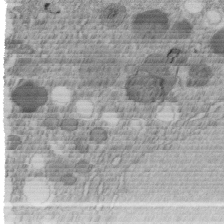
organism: C. elegans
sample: C. elegans embryo early stage